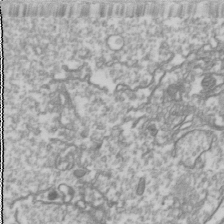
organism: Drosophila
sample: Cell division; meiosis; drosophila spermatocytes